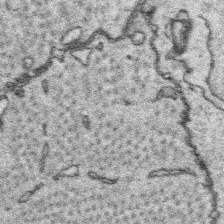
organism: Platynereis dumerilii